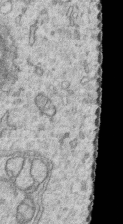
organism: Human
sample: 1205lu cells